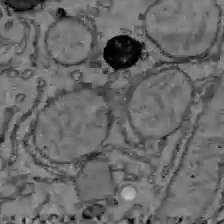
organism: C57BL Mouse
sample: Liver